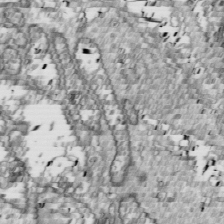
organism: Drosophila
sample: Cell division; meiosis; drosophila spermatocytes